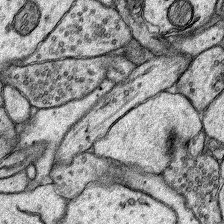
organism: Rat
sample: Hippocampus